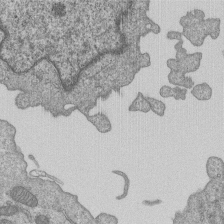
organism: Human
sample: MDA-MB-231 cells